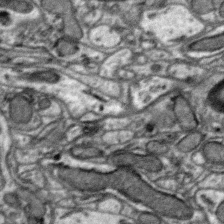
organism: Zebra finch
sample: Brain